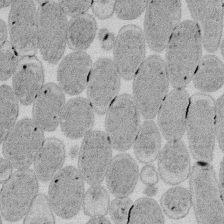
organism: E. coli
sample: Bacterial nucleoid